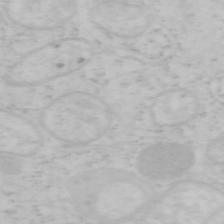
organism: Mouse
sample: OT-I killer T cells with ID8 ovarian cancer cells